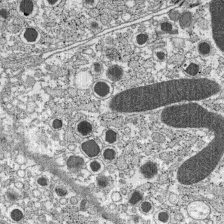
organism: C57BL Mouse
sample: Pancreatic islet